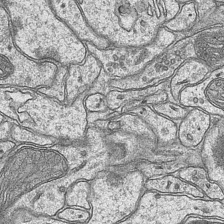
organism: Mouse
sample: CA1 Hippocampus